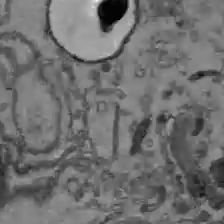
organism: C57BL Mouse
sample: Liver